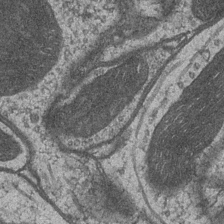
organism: Drosophila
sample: Optic medulla